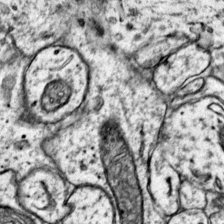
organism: Mouse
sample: Primary visual cortex